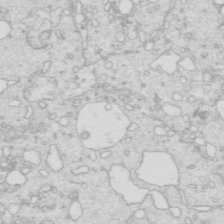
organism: Mouse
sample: Multiciliated cells